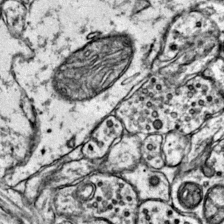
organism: Mouse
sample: Primary visual cortex